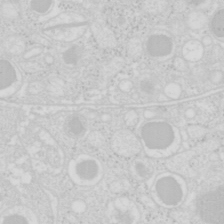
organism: Mouse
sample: Pancreas